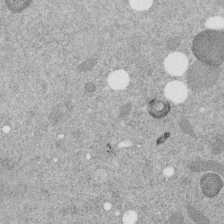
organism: C. elegans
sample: C. elegans embryo early stage